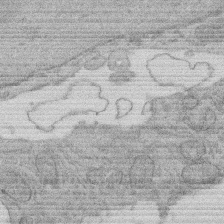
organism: Rat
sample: Salivary granule